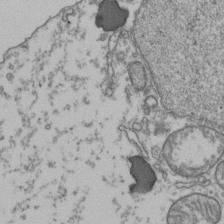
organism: Human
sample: Activated Jurkat CD4+ T cells